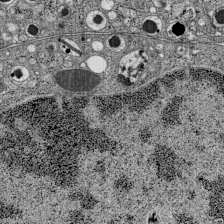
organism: C57BL Mouse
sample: Pancreatic islet